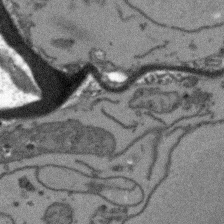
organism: Arabidopsis thaliana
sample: Root tip